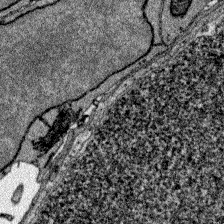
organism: Zebrafish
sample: Larval olfactory bulb